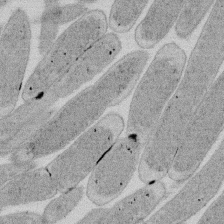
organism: E. coli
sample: Bacterial nucleoid